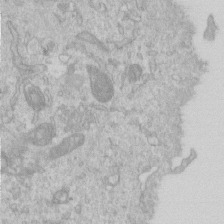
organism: Human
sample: Centriole in RPE cells